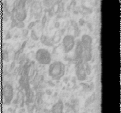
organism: Human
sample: Cilia; basal body in RPE cells